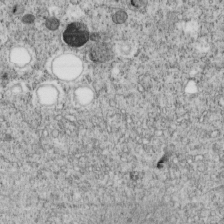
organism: C. elegans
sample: C. elegans embryo early stage